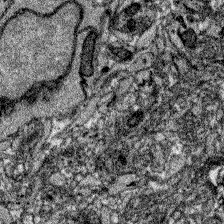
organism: Zebrafish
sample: Larval olfactory bulb